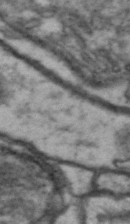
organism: Drosophila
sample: Brain